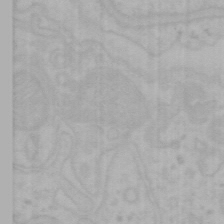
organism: Mouse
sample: Choroid plexus